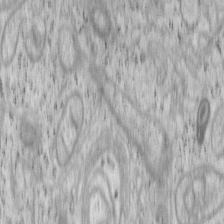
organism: Human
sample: HeLa cells